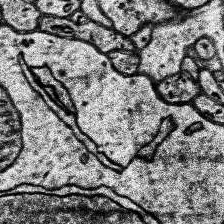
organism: Human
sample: Temporal Lobe